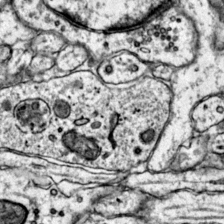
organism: Mouse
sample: Primary visual cortex